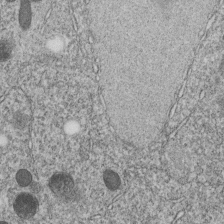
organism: C. elegans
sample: C. elegans embryo early stage